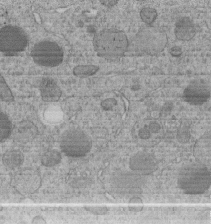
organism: C. elegans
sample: C. elegans embryo early stage